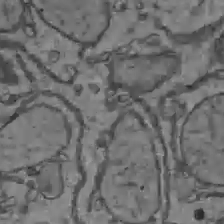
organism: C57BL Mouse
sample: Liver